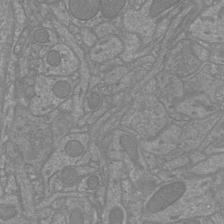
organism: Mouse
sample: Cortical neurons